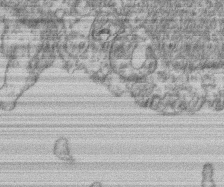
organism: Mouse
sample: T cell stromal cell synapse